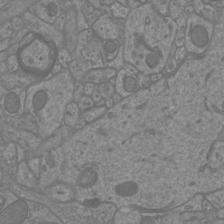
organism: Mouse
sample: Cortical neurons